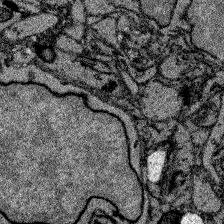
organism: Zebrafish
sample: Larval olfactory bulb